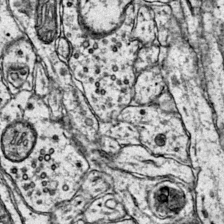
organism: Mouse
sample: Primary visual cortex